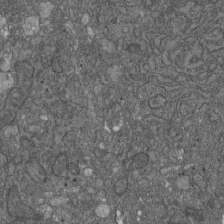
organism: Drosophila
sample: Nephrocyte